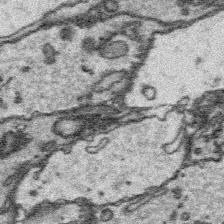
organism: Platynereis dumerilii